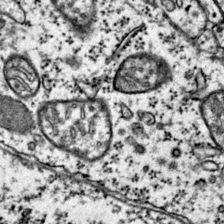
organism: Mouse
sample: Primary visual cortex